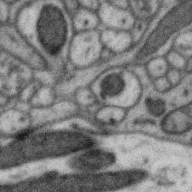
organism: Zebra finch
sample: Brain